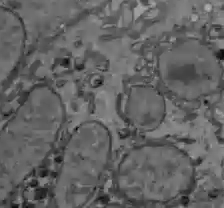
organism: C57BL Mouse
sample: Liver